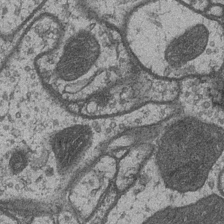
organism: Drosophila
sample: Optic medulla